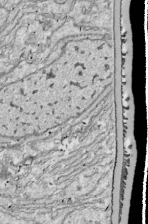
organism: Drosophila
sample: Cell division; meiosis; drosophila spermatocytes